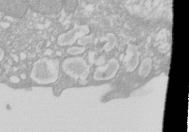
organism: Xenopus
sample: Cilia; centrioles in frog embryo cells